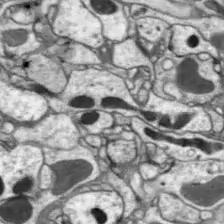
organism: Drosophila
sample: Optic lobe